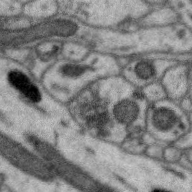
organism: Zebra finch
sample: Brain